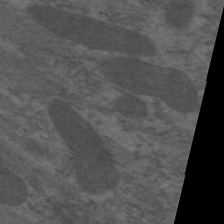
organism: C. elegans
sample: Pharynx